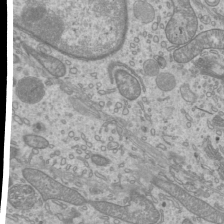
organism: Mouse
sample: Cilia; mouse epididymis